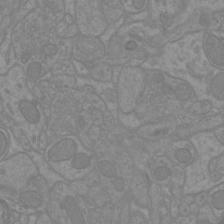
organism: Mouse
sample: Cortical neurons